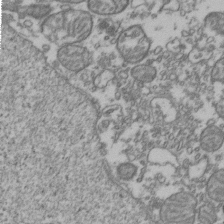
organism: Human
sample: Activated Jurkat CD4+ T cells